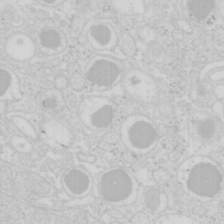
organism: Mouse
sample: Pancreas